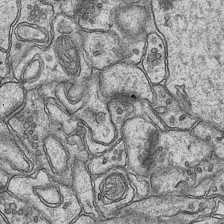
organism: Mouse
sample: CA1 Hippocampus